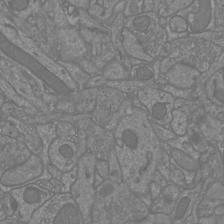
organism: Mouse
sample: Cortical neurons